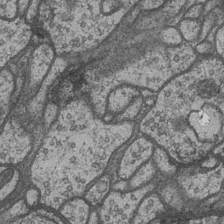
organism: Drosophila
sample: Optic medulla